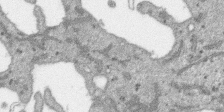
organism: Human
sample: Lung epithelial cells infected with SARS-CoV-2